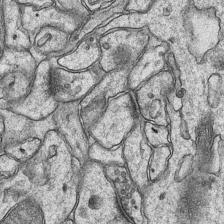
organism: Mouse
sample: CA1 Hippocampus